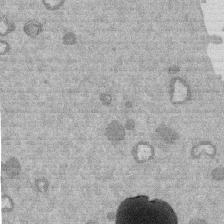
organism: Mouse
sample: Dividing mouse embryo 1 cell stage